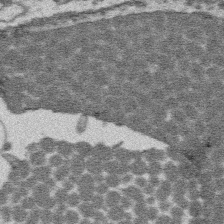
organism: Platynereis dumerilii